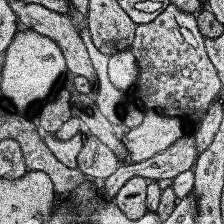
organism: Human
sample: Temporal Lobe